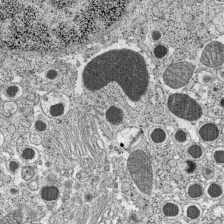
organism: C57BL Mouse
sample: Pancreatic islet